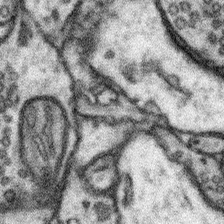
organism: Mouse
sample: Somatosensory cortex neuropil